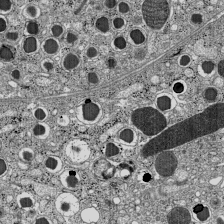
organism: C57BL Mouse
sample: Pancreatic islet